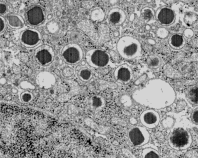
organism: C57BL Mouse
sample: Pancreatic islet